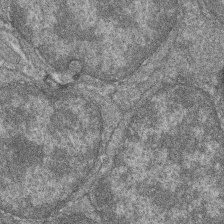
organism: Zebrafish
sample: Cilia; retinal pigment epithelium